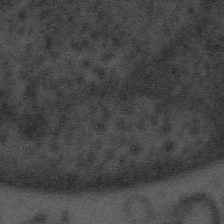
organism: Tuwongella immobilis